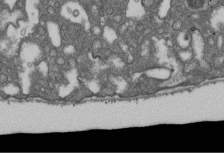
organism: Drosophila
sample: Nephrocyte